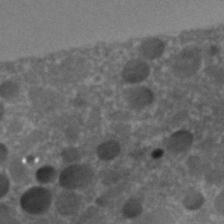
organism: C. elegans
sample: C. elegans embryo